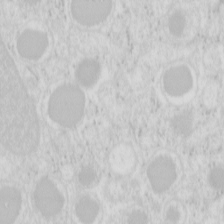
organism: Mouse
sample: Pancreas